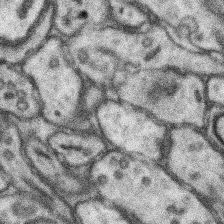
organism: Mouse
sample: Somatosensory cortex neuropil